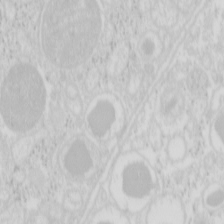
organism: Mouse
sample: Pancreas